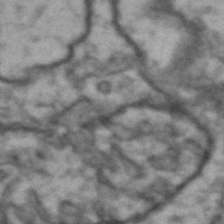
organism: Drosophila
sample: Brain